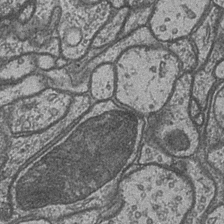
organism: Drosophila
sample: Optic medulla